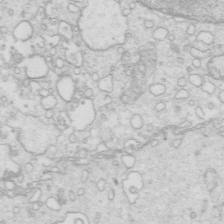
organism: Mouse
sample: Multiciliated cells